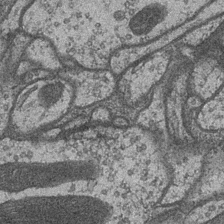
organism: Drosophila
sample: Optic medulla